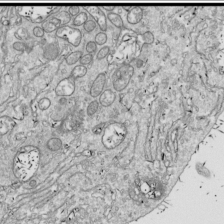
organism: Drosophila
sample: Cell division; meiosis; drosophila spermatocytes